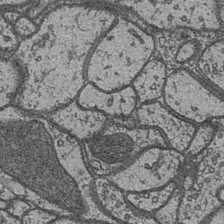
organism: Drosophila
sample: Optic medulla